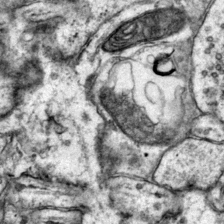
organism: Mouse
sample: Primary visual cortex